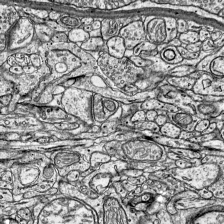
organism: Mouse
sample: Visual Cortex